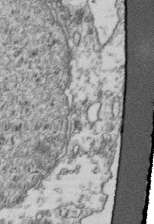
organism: Human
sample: Activated Jurkat CD4+ T cells